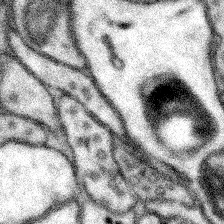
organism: Mouse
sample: Somatosensory cortex neuropil